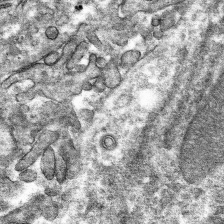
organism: Mouse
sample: Mouse hepatocytes